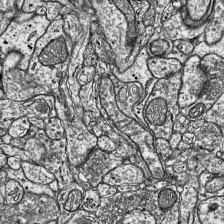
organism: Mouse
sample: Visual Cortex